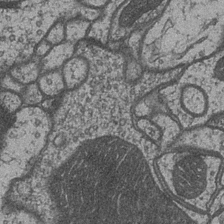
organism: Drosophila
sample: Optic medulla